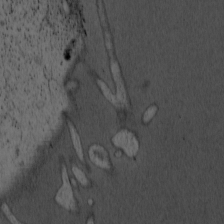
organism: African green monkey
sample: COS-7 cells